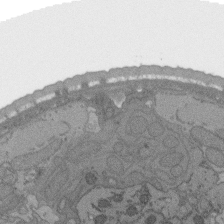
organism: C. elegans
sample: AFD neurons C. elegans